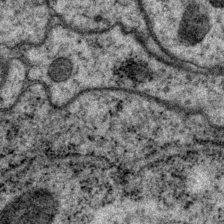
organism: P. pacificus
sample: Pharynx